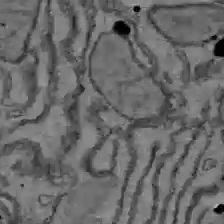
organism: C57BL Mouse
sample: Liver